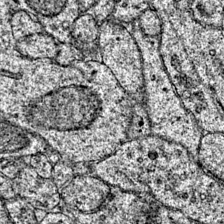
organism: Mouse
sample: Primary visual cortex